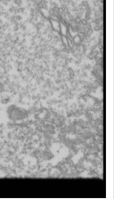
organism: Drosophila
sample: Cell division; meiosis; drosophila spermatocytes